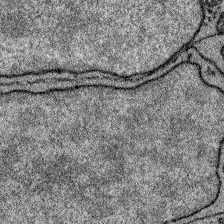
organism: Zebrafish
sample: Larval olfactory bulb